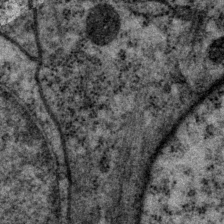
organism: P. pacificus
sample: Pharynx